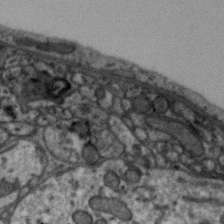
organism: Zebra finch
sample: Brain